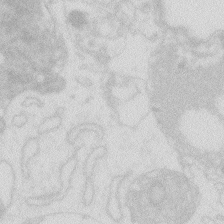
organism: Zebrafish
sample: Macrophage